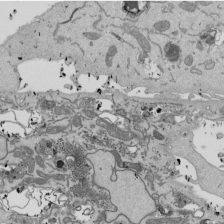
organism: Mouse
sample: ED-1 cell nuclei; centrioles